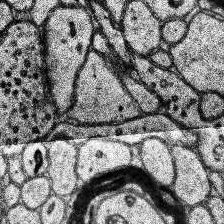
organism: Human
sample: Temporal Lobe